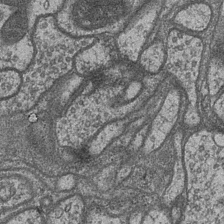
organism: Drosophila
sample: Optic medulla